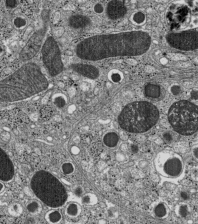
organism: C57BL Mouse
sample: Pancreatic islet